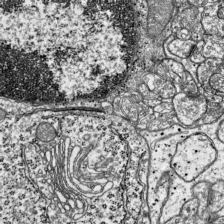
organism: Mouse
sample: Visual Cortex